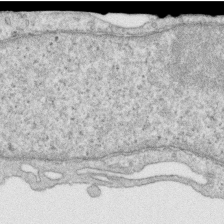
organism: Human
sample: Centriole in RPE cells